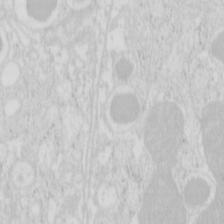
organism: Mouse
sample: Pancreas